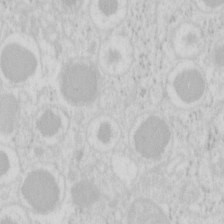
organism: Mouse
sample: Pancreas